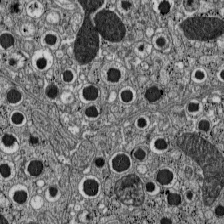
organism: C57BL Mouse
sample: Pancreatic islet